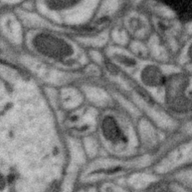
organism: Zebra finch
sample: Brain